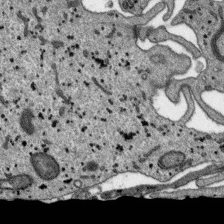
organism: Human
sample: Lung epithelial cells, uninfected (mock) control